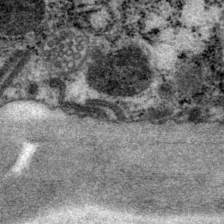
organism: P. pacificus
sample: Pharynx